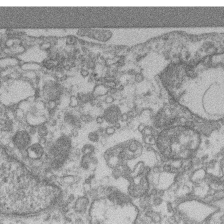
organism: Mouse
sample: T cell stromal cell synapse